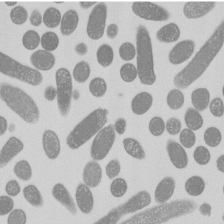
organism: E. coli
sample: Bacterial nucleoid